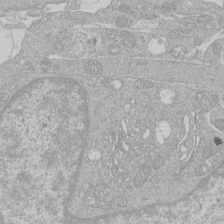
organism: Human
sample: Macrophage cells